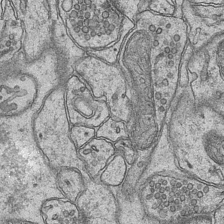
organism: Mouse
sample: CA1 Hippocampus